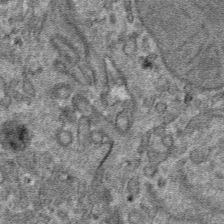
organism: Mouse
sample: Mouse hepatocytes